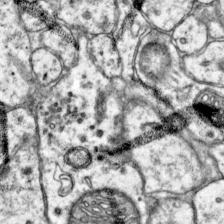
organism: Mouse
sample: Primary visual cortex